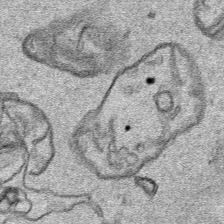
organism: Human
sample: Mitochondria in HCT116 cells